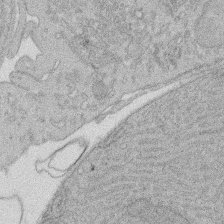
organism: Rat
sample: Salivary granule